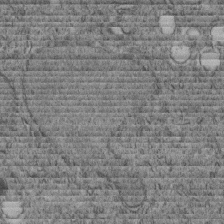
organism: C. elegans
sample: C. elegans embryo early stage